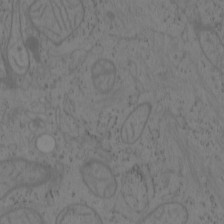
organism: Human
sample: HeLa cells